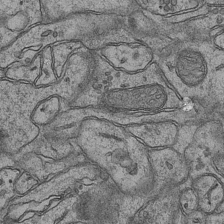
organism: Mouse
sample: CA1 Hippocampus